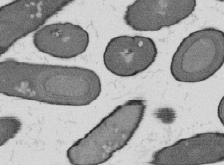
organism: B. subtilis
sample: Bacterial spore